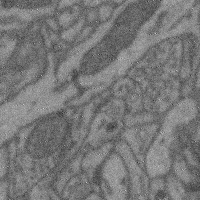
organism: Mouse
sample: Cerebral cortex